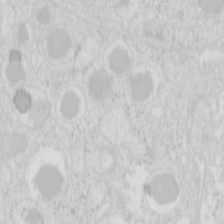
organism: Mouse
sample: Pancreas